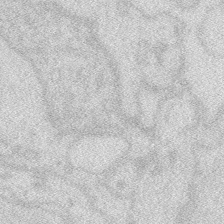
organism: Zebrafish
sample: Macrophage